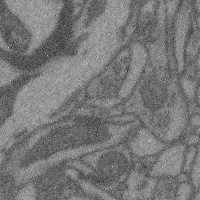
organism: Mouse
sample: Cerebral cortex